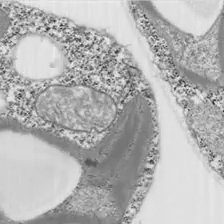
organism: Chlamydomonas reinhardtii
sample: Whole Cell